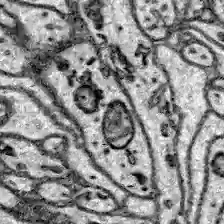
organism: Zebrafish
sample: Brain